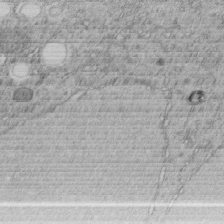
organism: C. elegans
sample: C. elegans embryo early stage